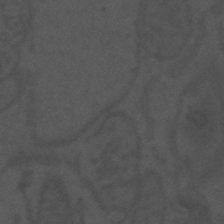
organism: Mouse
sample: Suprachiasmatic nucleus